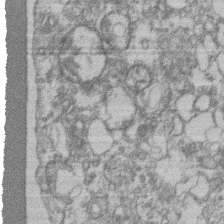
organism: Mouse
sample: T cell stromal cell synapse